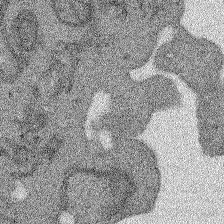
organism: Human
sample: HeLa cells